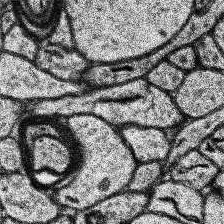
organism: Human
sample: Temporal Lobe